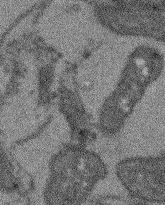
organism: Arabidopsis thaliana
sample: Root tip